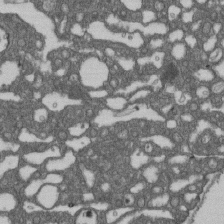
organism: Drosophila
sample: Nephrocyte